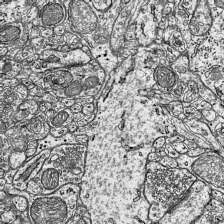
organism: Mouse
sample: Visual Cortex